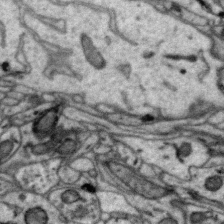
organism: Zebra finch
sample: Brain